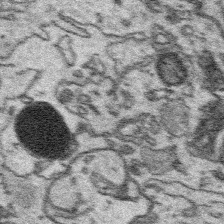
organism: Platynereis dumerilii